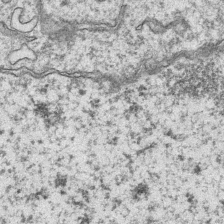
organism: Mouse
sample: CA1 Hippocampus